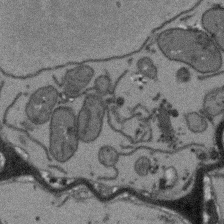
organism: Arabidopsis thaliana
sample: Root tip